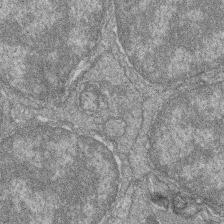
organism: Zebrafish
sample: Cilia; retinal pigment epithelium